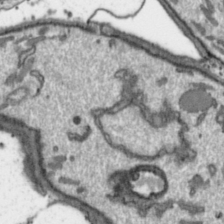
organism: Toxoplasma gondii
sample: Parasites in a vacuole inside a host cell